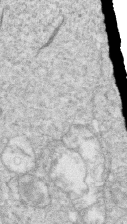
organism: Human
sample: HeLa cell HIV synapse